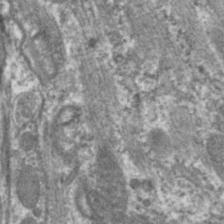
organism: C. elegans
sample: Pharynx